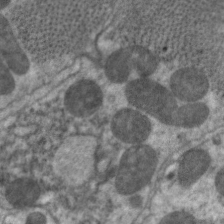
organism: C. elegans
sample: Pharynx